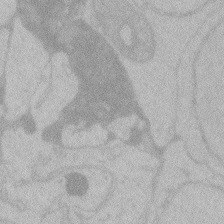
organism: Zebrafish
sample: Macrophage infected with Toxoplasma gondii